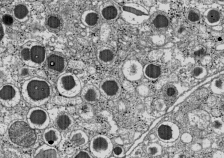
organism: C57BL Mouse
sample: Pancreatic islet